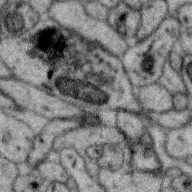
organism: Zebra finch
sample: Brain